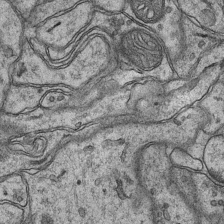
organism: Mouse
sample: CA1 Hippocampus